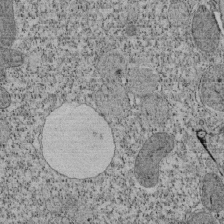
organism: Tetrahymena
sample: Cilia in tetrahymena